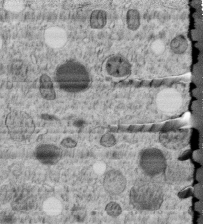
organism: C. elegans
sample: C. elegans embryo early stage